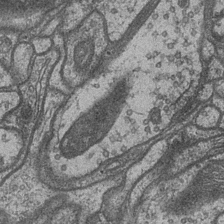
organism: Drosophila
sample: Optic medulla